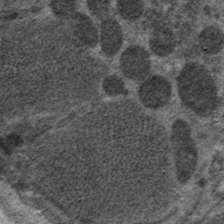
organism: C. elegans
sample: Pharynx